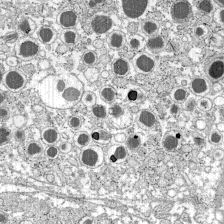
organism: C57BL Mouse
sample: Pancreatic islet